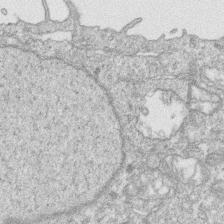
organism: Human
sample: HeLa cell HIV synapse